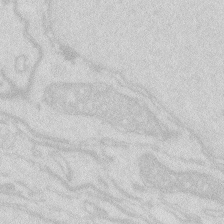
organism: Zebrafish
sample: Macrophage